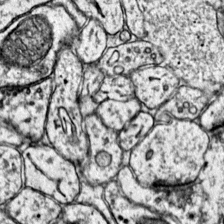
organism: Mouse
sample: Primary visual cortex